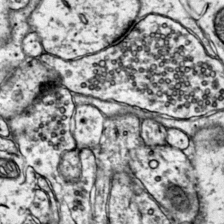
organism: Mouse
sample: Primary visual cortex